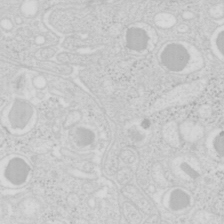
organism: Mouse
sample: Pancreas